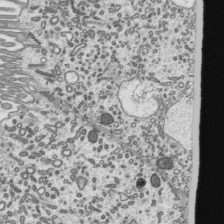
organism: Mouse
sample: Mouse epididymis efferent ductule cilia